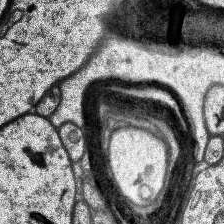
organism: Human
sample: Temporal Lobe